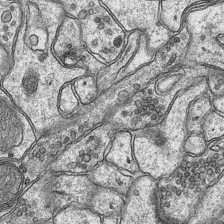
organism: Mouse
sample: CA1 Hippocampus